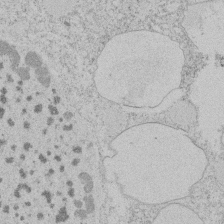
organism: Tetrahymena